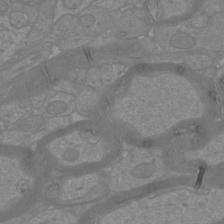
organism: Mouse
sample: Cortical neurons